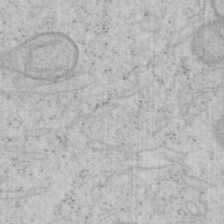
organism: Human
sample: HeLa cells